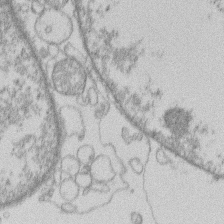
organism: Human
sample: Macrophage cells